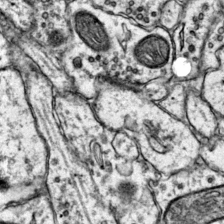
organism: Mouse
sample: Primary visual cortex